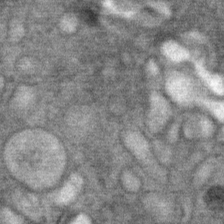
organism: Mouse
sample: Mouse Salivary gland